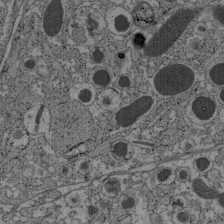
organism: C57BL Mouse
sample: Pancreatic islet